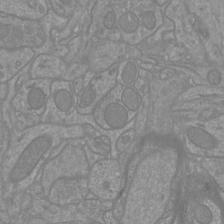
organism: Mouse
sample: Cortical neurons